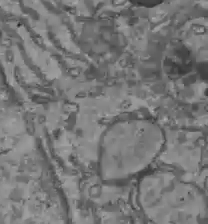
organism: C57BL Mouse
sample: Liver